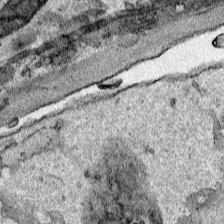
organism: Human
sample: Mitochondria in HCT116 cells